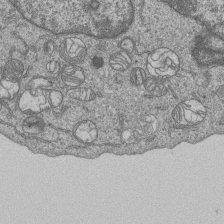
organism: Human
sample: MDA-MB-231 cells